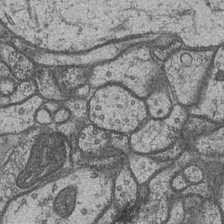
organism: Drosophila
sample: Optic medulla